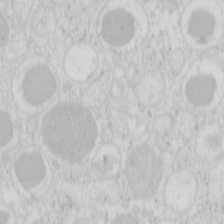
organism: Mouse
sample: Pancreas